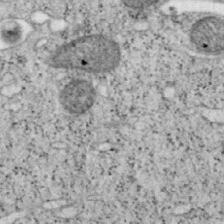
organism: Mouse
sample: OT-I killer T cells with ID8 ovarian cancer cells